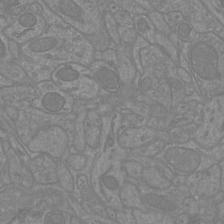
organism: Mouse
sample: Cortical neurons